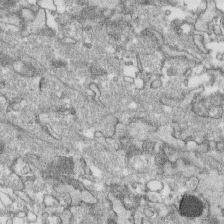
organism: Human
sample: CRL-1474